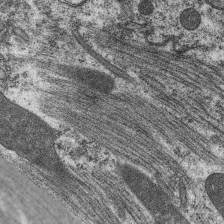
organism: C. elegans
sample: Pharynx